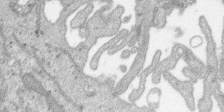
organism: Human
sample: Lung epithelial cells infected with SARS-CoV-2